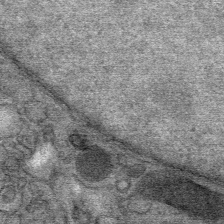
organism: Mouse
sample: Mouse Salivary gland